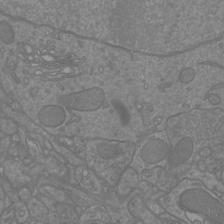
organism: Mouse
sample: Cortical neurons